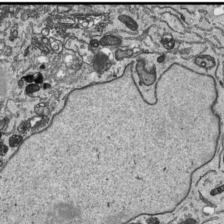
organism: Human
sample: Mitochondria in HCT116 cells